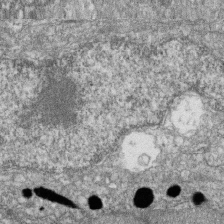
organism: Zebrafish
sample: Cilia; retinal pigment epithelium